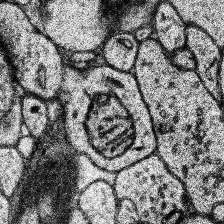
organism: Human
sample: Temporal Lobe